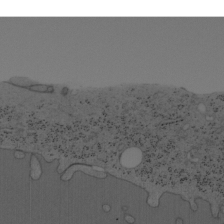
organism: Mouse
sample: OT-I killer T cells with ID8 ovarian cancer cells